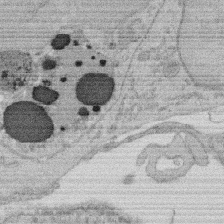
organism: Rat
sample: Salivary granule